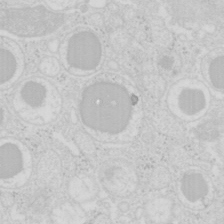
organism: Mouse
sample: Pancreas